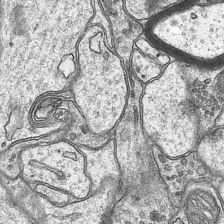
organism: Mouse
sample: CA1 Hippocampus